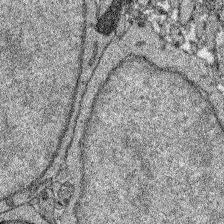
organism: Zebrafish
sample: Larval olfactory bulb